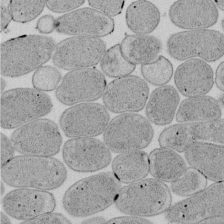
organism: E. coli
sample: Bacterial nucleoid